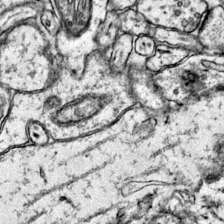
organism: Mouse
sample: Primary visual cortex